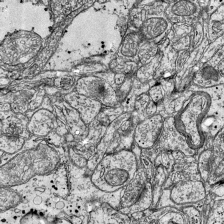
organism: Mouse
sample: Visual Cortex